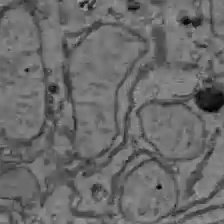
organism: C57BL Mouse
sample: Liver